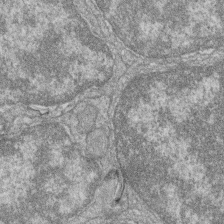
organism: Zebrafish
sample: Cilia; retinal pigment epithelium